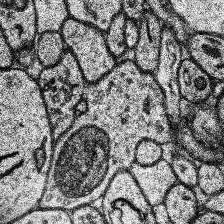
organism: Human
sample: Temporal Lobe